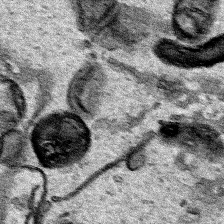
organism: Human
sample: Mitochondria in HCT116 cells